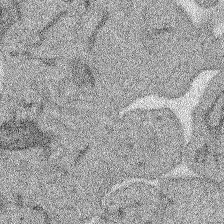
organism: Human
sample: HeLa cells